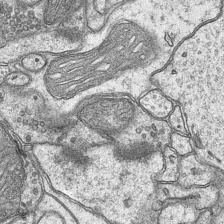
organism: Mouse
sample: CA1 Hippocampus